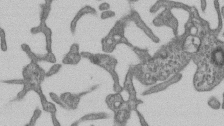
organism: Mouse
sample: Centriole in ependymal cells